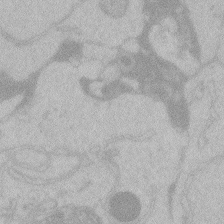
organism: Zebrafish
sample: Macrophage infected with Toxoplasma gondii